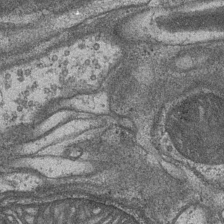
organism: Drosophila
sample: Optic medulla